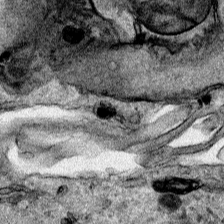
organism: Human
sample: Mitochondria in HCT116 cells